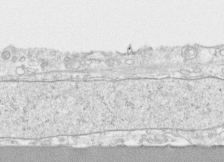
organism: Human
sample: CRL-1474